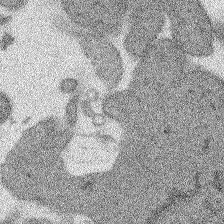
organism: Human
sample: HeLa cells